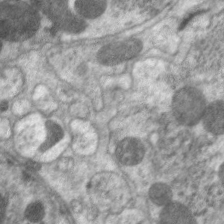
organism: C. elegans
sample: Pharynx